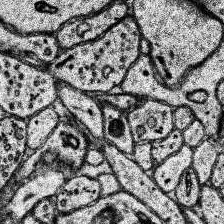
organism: Human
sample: Temporal Lobe